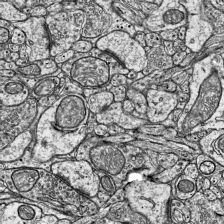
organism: Mouse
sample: Visual Cortex